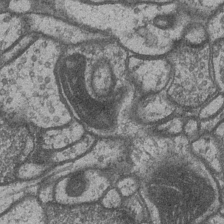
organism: Drosophila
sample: Optic medulla